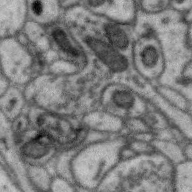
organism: Zebra finch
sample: Brain